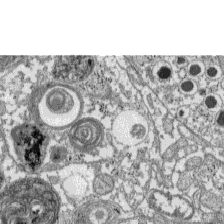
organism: C57BL Mouse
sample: Pancreatic islet